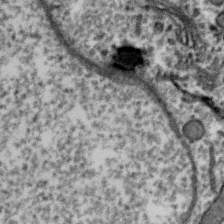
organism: Zebra finch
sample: Brain